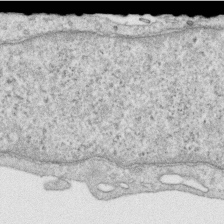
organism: Human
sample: Centriole in RPE cells